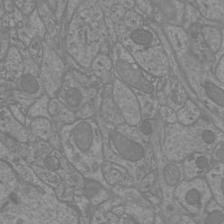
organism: Mouse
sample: Cortical neurons